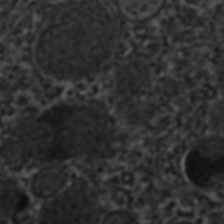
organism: C. elegans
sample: C. elegans embryo